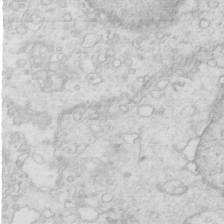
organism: Mouse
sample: Multiciliated cells